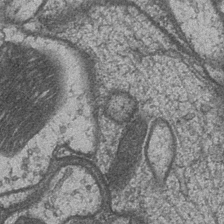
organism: Drosophila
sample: Optic medulla